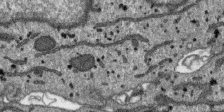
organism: Human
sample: Lung epithelial cells, uninfected (mock) control